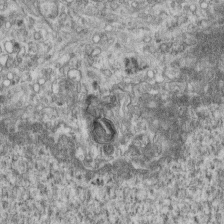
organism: Mouse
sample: Centriole in ependymal cells